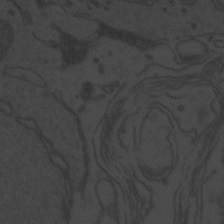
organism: Zebrafish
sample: Macrophage infected with Toxoplasma gondii